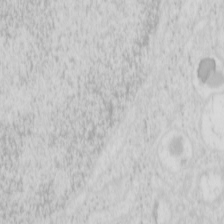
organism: Mouse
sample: Pancreas